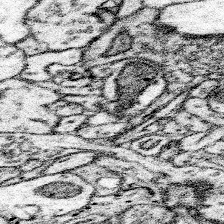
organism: Mouse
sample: Somatosensory cortex neuropil